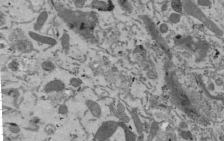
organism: Mouse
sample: ED-1 cell nuclei; centrioles